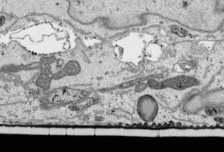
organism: Human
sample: Mitochondria in HCT116 cells